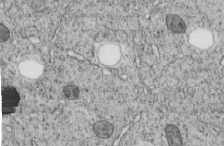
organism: C. elegans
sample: C. elegans embryo early stage